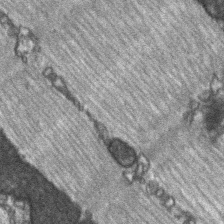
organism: C57BL Mouse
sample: Soleus